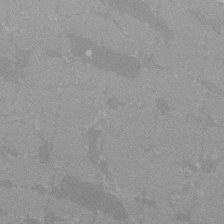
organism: C57BL Mouse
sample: Tibialis anterior muscle cell